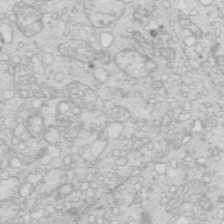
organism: Mouse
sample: Multiciliated cells